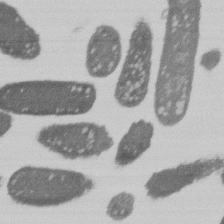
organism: E. coli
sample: Bacterial nucleoid